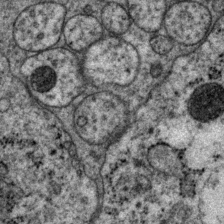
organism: P. pacificus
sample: Pharynx